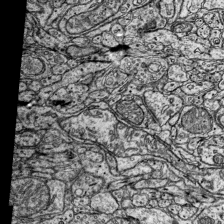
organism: Mouse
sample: Visual Cortex